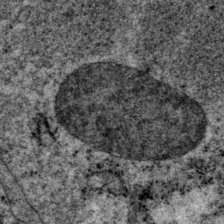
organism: P. pacificus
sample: Pharynx